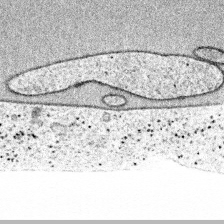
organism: Human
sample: HeLa cells